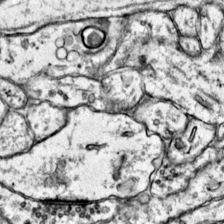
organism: Mouse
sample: Primary visual cortex